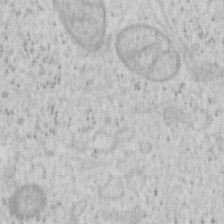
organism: Human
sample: HeLa cells